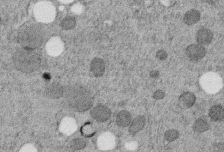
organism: C. elegans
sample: C. elegans embryo early stage